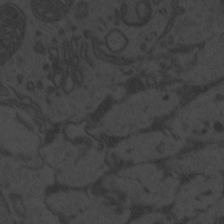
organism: Zebrafish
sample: Macrophage infected with Toxoplasma gondii